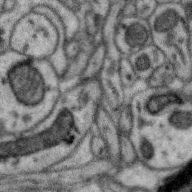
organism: Zebra finch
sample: Brain